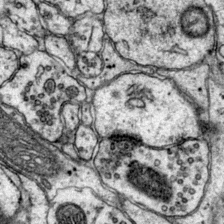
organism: Mouse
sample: Primary visual cortex